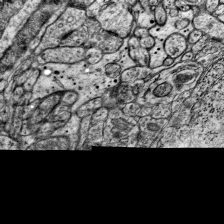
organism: Mouse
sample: Visual Cortex